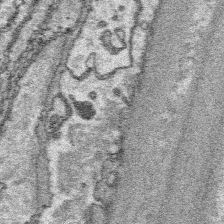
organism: Platynereis dumerilii